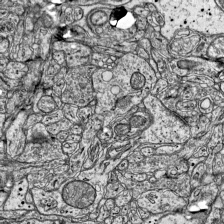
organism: Mouse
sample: Visual Cortex